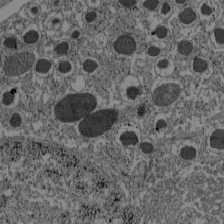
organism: C57BL Mouse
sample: Pancreatic islet